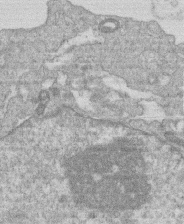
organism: Human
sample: Macrophage cells